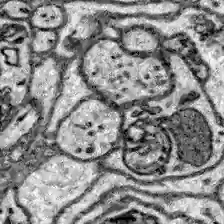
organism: Zebrafish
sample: Brain